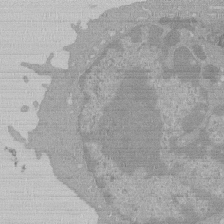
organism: Mouse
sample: Activated Pmel transgenic CD8+ T Cells